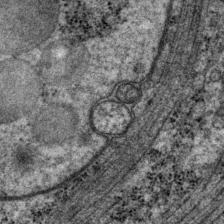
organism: P. pacificus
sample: Pharynx